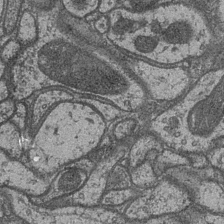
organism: Drosophila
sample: Optic medulla